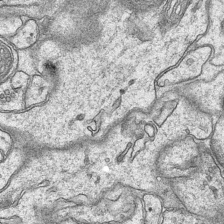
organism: Mouse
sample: CA1 Hippocampus